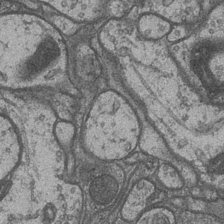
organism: Drosophila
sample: Optic medulla